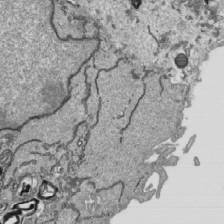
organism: Human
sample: Mitochondria in HCT116 cells